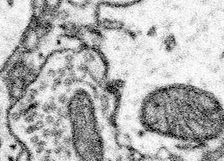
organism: Mouse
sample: Somatosensory cortex neuropil